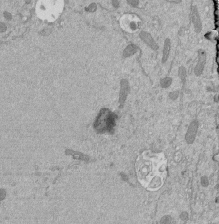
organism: Mouse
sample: ED-1 cell nuclei; centrioles